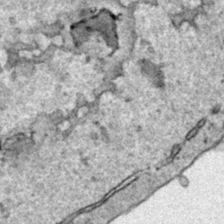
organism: Human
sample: Mitochondria in HCT116 cells